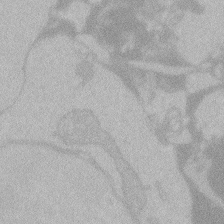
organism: Zebrafish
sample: Macrophage infected with Toxoplasma gondii